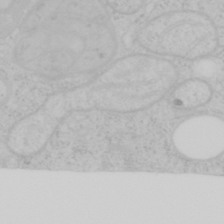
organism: Mouse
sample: OT-I killer T cells with ID8 ovarian cancer cells